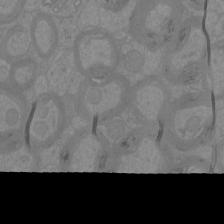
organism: Mouse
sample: Cortical neurons